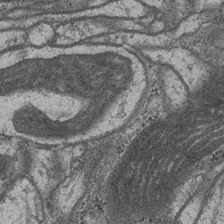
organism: Drosophila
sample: Optic medulla